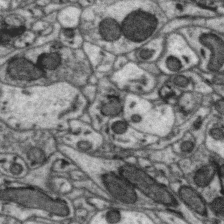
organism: Zebra finch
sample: Brain